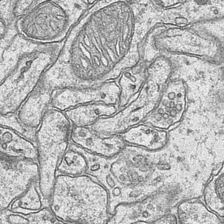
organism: Mouse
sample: CA1 Hippocampus